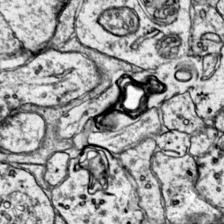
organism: Mouse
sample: Primary visual cortex